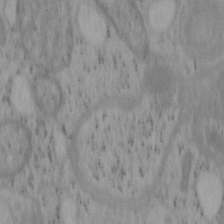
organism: Mouse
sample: OT-I killer T cells with ID8 ovarian cancer cells